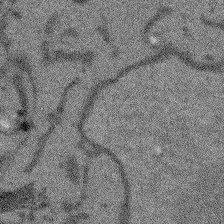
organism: Arabidopsis thaliana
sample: Root tip